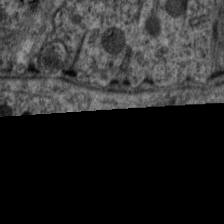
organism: C. elegans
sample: Pharynx